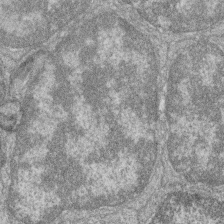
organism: Zebrafish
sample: Cilia; retinal pigment epithelium